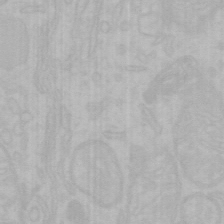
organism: Mouse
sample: Choroid plexus